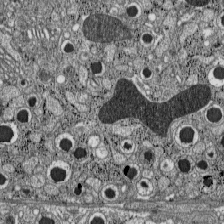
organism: C57BL Mouse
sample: Pancreatic islet